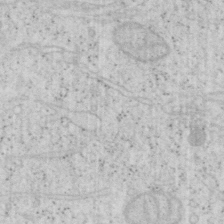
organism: Human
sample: HeLa cells